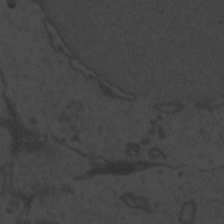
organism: Zebrafish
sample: Macrophage infected with Toxoplasma gondii